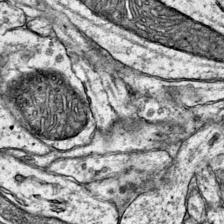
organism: Mouse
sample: Primary visual cortex